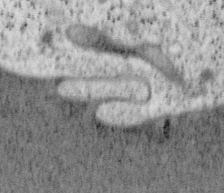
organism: Mouse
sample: OT-I killer T cells with ID8 ovarian cancer cells